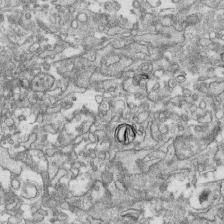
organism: Human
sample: CRL-1474